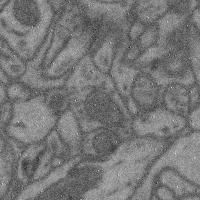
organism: Mouse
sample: Cerebral cortex